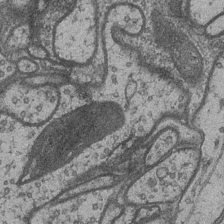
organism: Drosophila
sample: Optic medulla